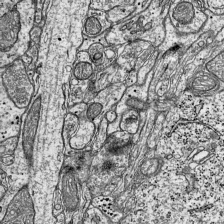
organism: Mouse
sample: Visual Cortex